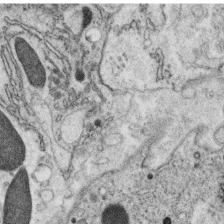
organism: C. elegans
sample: C. elegans oocyte; sperm cells